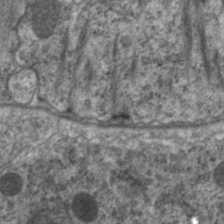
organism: C. elegans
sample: Pharynx